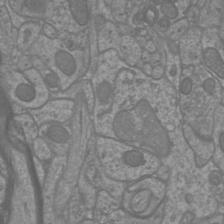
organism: Mouse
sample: Cortical neurons